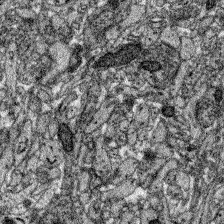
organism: Zebrafish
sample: Larval olfactory bulb